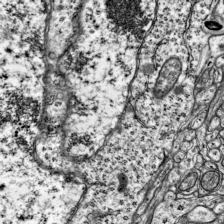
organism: Mouse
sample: Visual Cortex